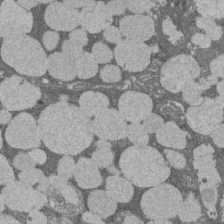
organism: Rat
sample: Salivary granule